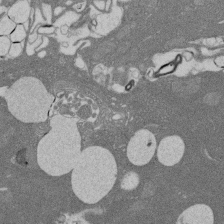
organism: Rat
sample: Salivary granule